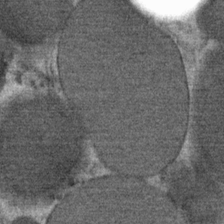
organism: Mouse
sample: Mouse Salivary gland